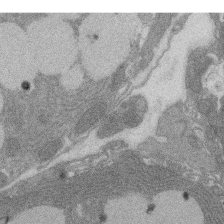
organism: Rat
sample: Salivary granule